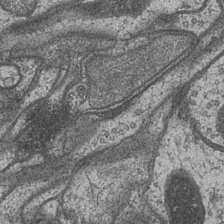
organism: Drosophila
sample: Optic medulla